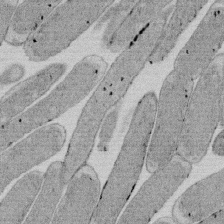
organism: E. coli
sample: Bacterial nucleoid